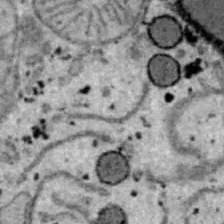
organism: Mouse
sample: Liver from an obese (ob/ob) mouse